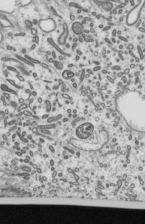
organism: Mouse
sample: Mouse epididymis efferent ductule cilia